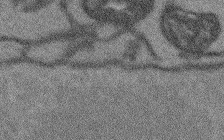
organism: Arabidopsis thaliana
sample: Root tip